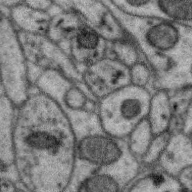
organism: Zebra finch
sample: Brain